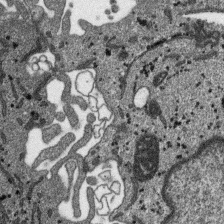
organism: Human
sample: Lung epithelial cells infected with SARS-CoV-2